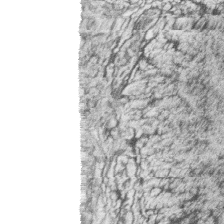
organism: Zebrafish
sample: synaptic ribbons in rod cells and cone cells